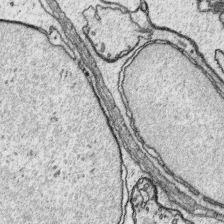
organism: Platynereis dumerilii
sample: Parapodia